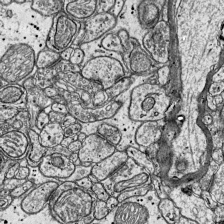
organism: Mouse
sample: Visual Cortex